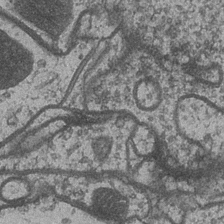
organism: Drosophila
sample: Optic medulla